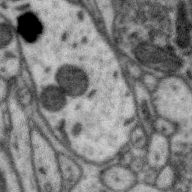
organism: Zebra finch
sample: Brain